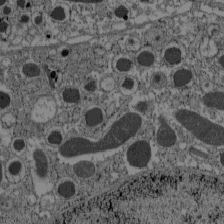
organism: C57BL Mouse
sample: Pancreatic islet